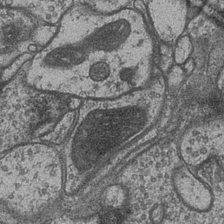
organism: Drosophila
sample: Optic medulla